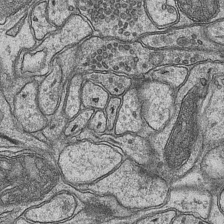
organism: Mouse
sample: CA1 Hippocampus